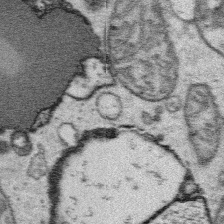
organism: Platynereis dumerilii